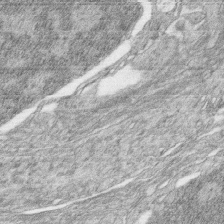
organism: Zebrafish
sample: synaptic ribbons in rod cells and cone cells